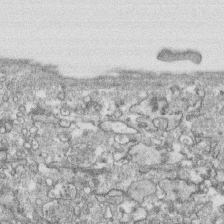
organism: Human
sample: CRL-1474